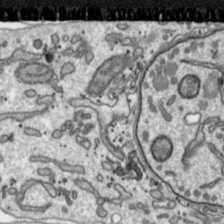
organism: Toxoplasma gondii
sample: Parasites in a vacuole inside a host cell